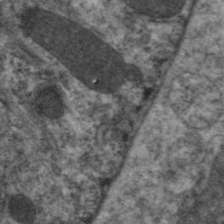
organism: C. elegans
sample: Pharynx